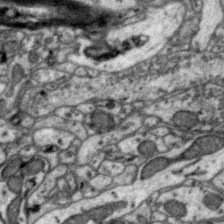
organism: Zebra finch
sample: Brain